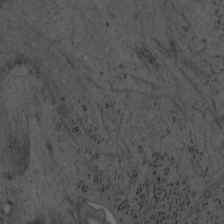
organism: Mouse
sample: OT-I killer T cells with ID8 ovarian cancer cells